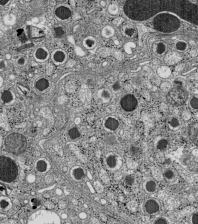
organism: C57BL Mouse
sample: Pancreatic islet